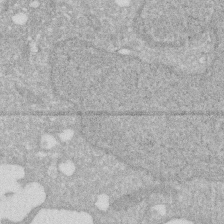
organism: Human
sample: HIV infected U937 cells